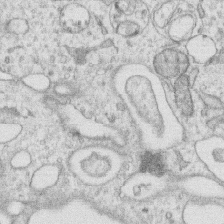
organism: Human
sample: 1205lu cells